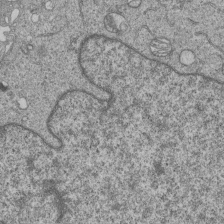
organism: Human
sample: MDA-MB-231 cells